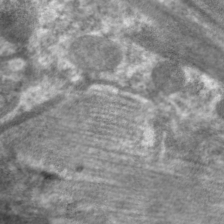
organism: C. elegans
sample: Pharynx